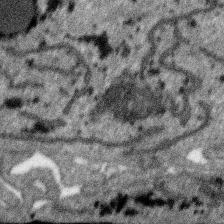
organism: Human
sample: Lung epithelial cells infected with SARS-CoV-2